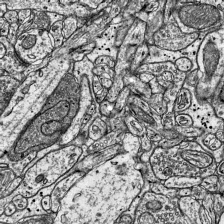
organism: Mouse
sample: Visual Cortex